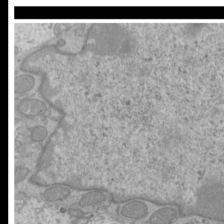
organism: Mouse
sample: Cilia; mouse epididymis